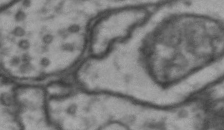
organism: Drosophila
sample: Brain